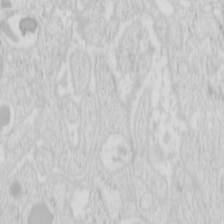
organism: Mouse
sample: Pancreas